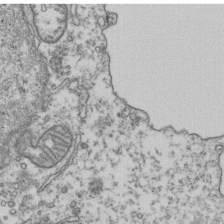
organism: Human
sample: Activated Jurkat CD4+ T cells